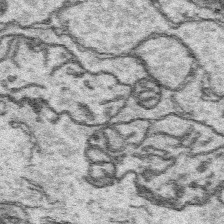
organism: Platynereis dumerilii